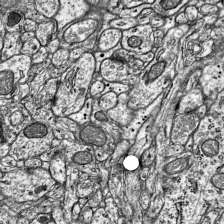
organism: Mouse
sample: Visual Cortex